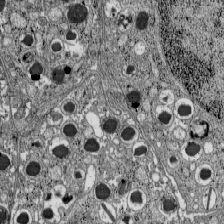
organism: C57BL Mouse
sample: Pancreatic islet